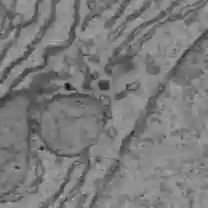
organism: C57BL Mouse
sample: Liver